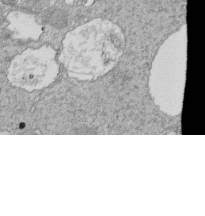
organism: Tetrahymena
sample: Cilia in tetrahymena